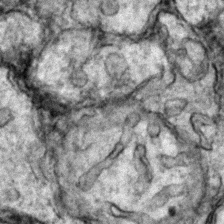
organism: Zebrafish